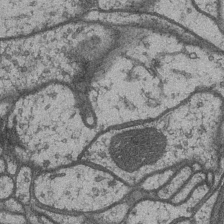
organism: Drosophila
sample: Optic medulla